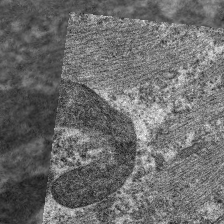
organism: C. elegans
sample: Pharynx